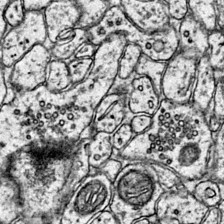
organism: Mouse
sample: Primary visual cortex